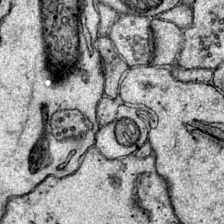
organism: Mouse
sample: Primary visual cortex